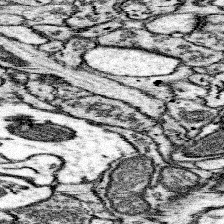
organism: Mouse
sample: Somatosensory cortex neuropil